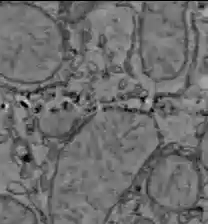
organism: C57BL Mouse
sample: Liver